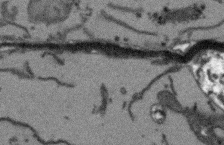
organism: Arabidopsis thaliana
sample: Root tip